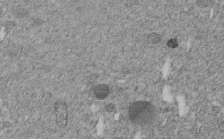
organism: C. elegans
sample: C. elegans embryo early stage